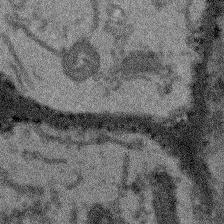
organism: Arabidopsis thaliana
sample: Root tip